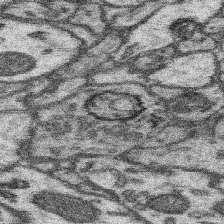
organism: Mouse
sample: Somatosensory cortex neuropil